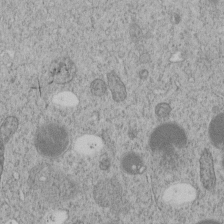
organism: C. elegans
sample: C. elegans embryo early stage